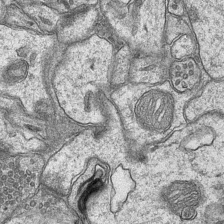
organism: Mouse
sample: CA1 Hippocampus